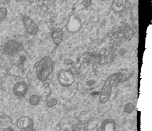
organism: Human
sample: MDA-MB-231 cells